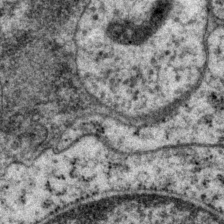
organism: P. pacificus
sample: Pharynx